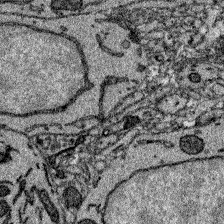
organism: Zebrafish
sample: Larval olfactory bulb